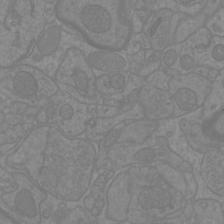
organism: Mouse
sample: Cortical neurons